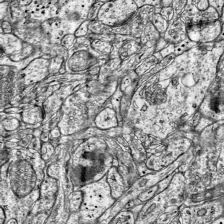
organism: Mouse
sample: Visual Cortex